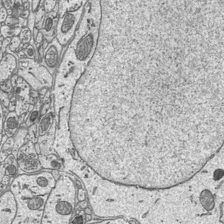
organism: Mouse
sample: Suprachiasmatic nucleus